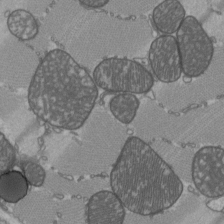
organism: C57BL Mouse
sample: Heart